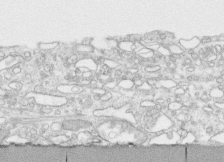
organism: Human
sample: CRL-1474